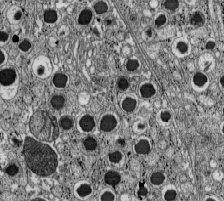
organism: C57BL Mouse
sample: Pancreatic islet